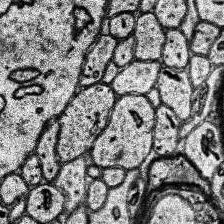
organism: Human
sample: Temporal Lobe